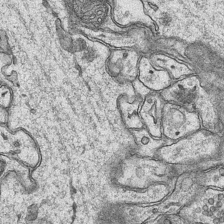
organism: Mouse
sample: CA1 Hippocampus